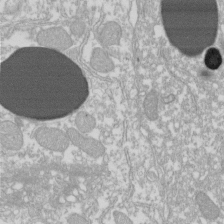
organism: Xenopus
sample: Cilia; centrioles in frog embryo cells